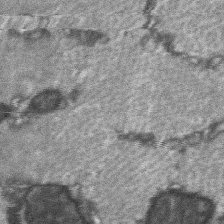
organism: C57BL Mouse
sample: Soleus